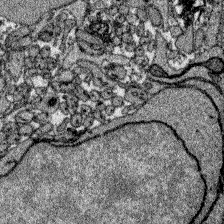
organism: Zebrafish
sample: Larval olfactory bulb